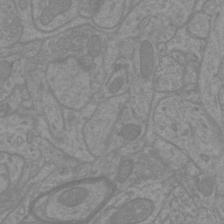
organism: Mouse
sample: Cortical neurons